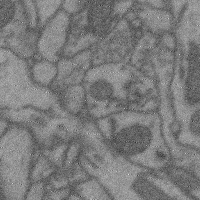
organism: Mouse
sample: Cerebral cortex